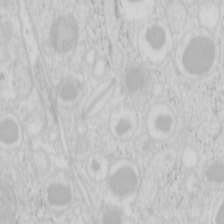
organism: Mouse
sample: Pancreas